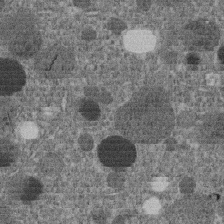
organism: C. elegans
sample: C. elegans embryo early stage